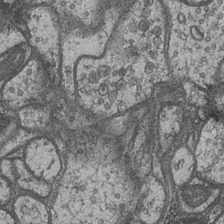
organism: Drosophila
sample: Optic medulla